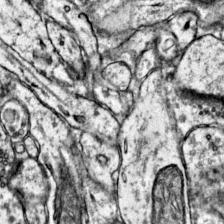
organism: Mouse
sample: Primary visual cortex